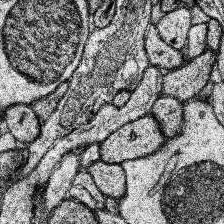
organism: Human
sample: Temporal Lobe